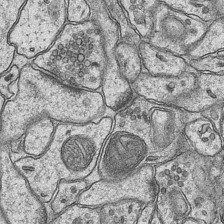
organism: Mouse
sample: CA1 Hippocampus